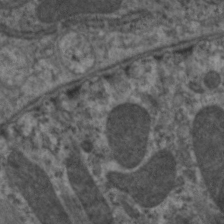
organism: C. elegans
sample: Pharynx